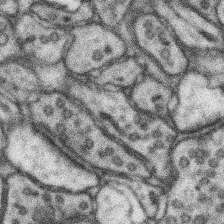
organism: Mouse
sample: Somatosensory cortex neuropil